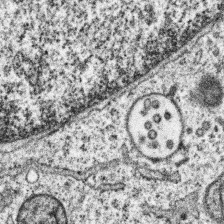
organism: Human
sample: HeLa cells